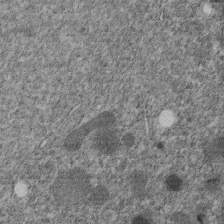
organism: C. elegans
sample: C. elegans embryo early stage